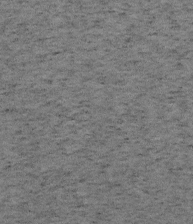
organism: Mouse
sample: OT-I killer T cells with ID8 ovarian cancer cells